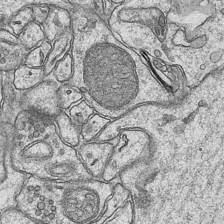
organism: Mouse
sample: CA1 Hippocampus